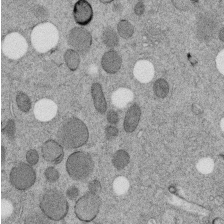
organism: C. elegans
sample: C. elegans embryo early stage